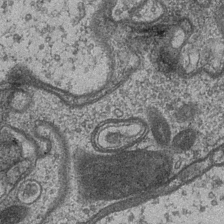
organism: Drosophila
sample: Optic medulla